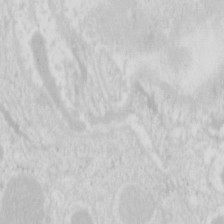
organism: Mouse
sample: Pancreas